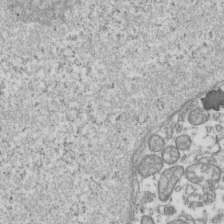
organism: Human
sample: Activated Jurkat CD4+ T cells